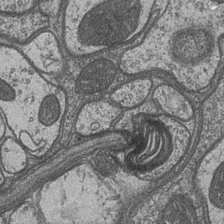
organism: Drosophila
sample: Optic medulla